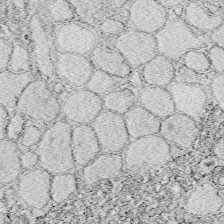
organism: Zebrafish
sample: Whole-Brain